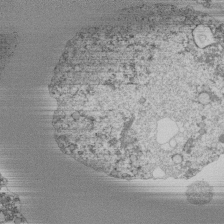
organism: Mouse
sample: Activated Pmel transgenic CD8+ T Cells